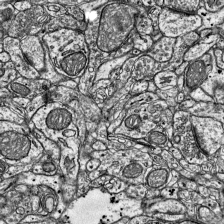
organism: Mouse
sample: Visual Cortex